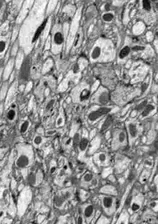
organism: Drosophila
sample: Optic lobe